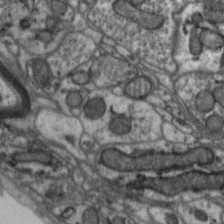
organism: Zebra finch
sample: Brain